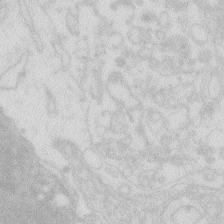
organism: Zebrafish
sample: Macrophage